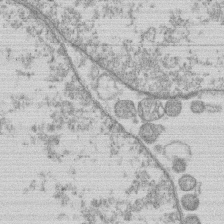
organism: Human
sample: Macrophage cells